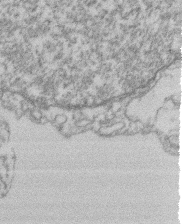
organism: Mouse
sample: T cell stromal cell synapse